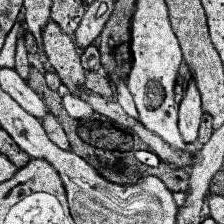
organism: Human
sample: Temporal Lobe